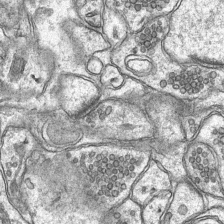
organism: Mouse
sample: CA1 Hippocampus